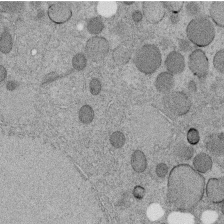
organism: C. elegans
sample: C. elegans embryo early stage